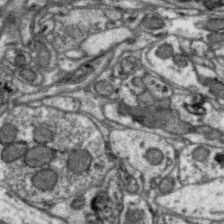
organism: Zebra finch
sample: Brain